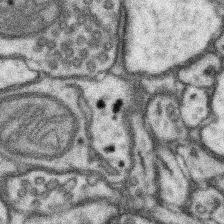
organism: Mouse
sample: Somatosensory cortex neuropil